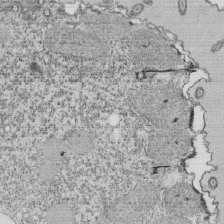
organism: Tetrahymena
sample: Cilia in tetrahymena